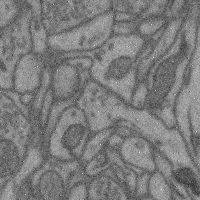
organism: Mouse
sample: Cerebral cortex